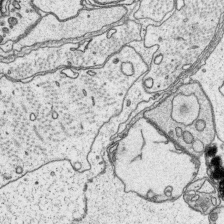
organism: Platynereis dumerilii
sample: Parapodia